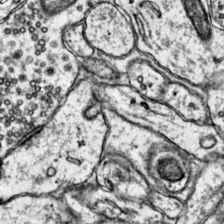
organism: Mouse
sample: Primary visual cortex